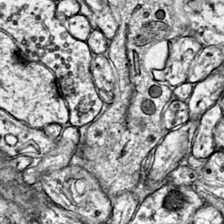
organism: Mouse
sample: Primary visual cortex